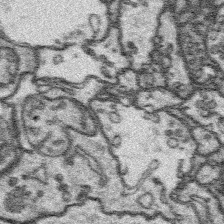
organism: Platynereis dumerilii